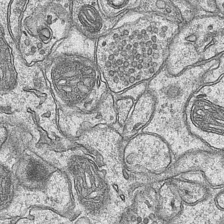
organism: Mouse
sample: CA1 Hippocampus